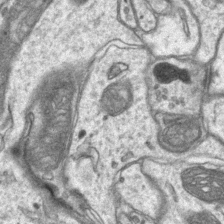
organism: Mouse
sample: CA1 Hippocampus